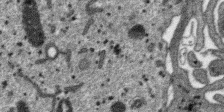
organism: Human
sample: Lung epithelial cells infected with SARS-CoV-2